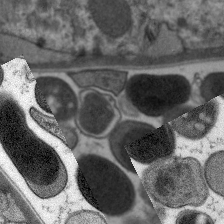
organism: C. elegans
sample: Pharynx